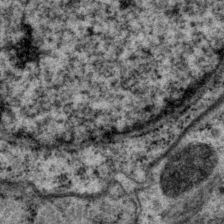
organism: P. pacificus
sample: Pharynx